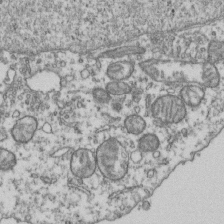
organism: Human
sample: Activated Jurkat CD4+ T cells